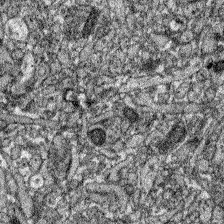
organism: Zebrafish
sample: Larval olfactory bulb